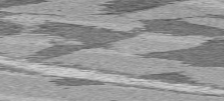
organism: C57BL Mouse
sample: Heart